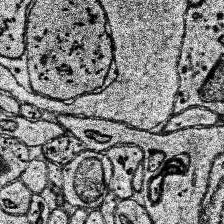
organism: Human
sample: Temporal Lobe